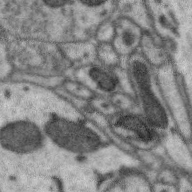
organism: Zebra finch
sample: Brain